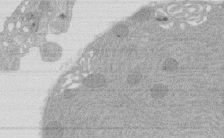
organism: Rat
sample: Salivary granule